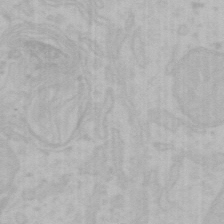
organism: Mouse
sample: Choroid plexus